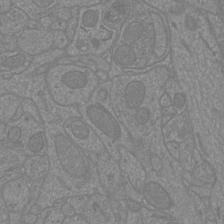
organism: Mouse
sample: Cortical neurons